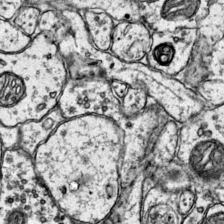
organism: Mouse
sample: Primary visual cortex